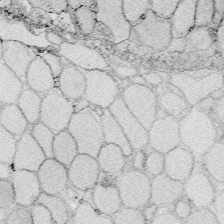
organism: Zebrafish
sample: Whole-Brain